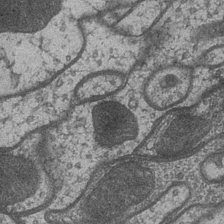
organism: Drosophila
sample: Optic medulla